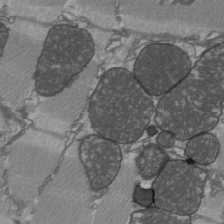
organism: C57BL Mouse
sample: Heart